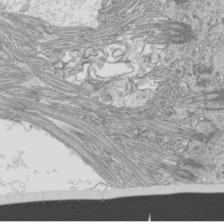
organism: Mouse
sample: Cilia; mouse epididymis